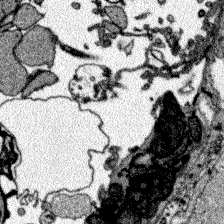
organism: Zebrafish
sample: Larval olfactory bulb